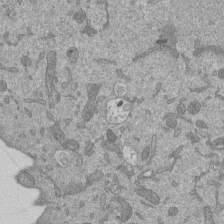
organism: Mouse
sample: ED-1 cell nuclei; centrioles